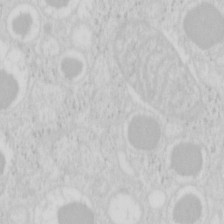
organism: Mouse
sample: Pancreas